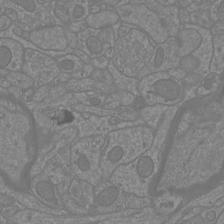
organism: Mouse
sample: Cortical neurons